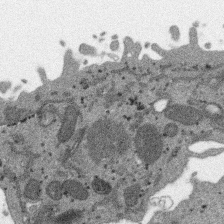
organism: Human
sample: Lung epithelial cells infected with SARS-CoV-2